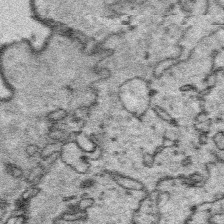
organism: Platynereis dumerilii